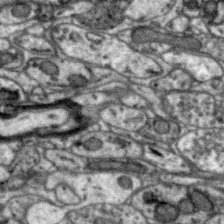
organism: Zebra finch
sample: Brain